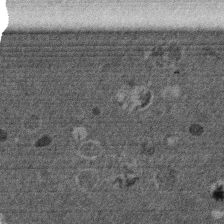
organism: Mouse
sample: Dividing mouse embryo 1 cell stage